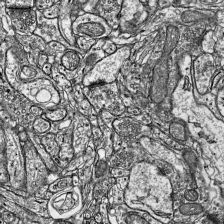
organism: Mouse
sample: Visual Cortex